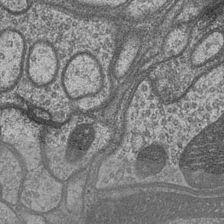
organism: Drosophila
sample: Optic medulla